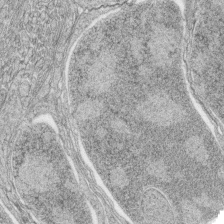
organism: Zebrafish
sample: synaptic ribbons in rod cells and cone cells